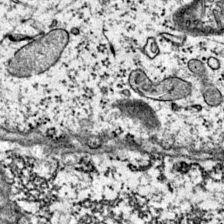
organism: Mouse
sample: Primary visual cortex